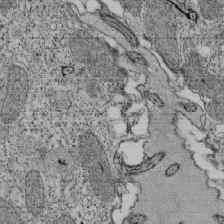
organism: Tetrahymena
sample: Cilia in tetrahymena